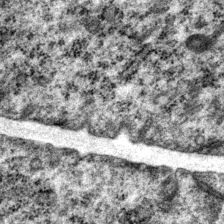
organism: P. pacificus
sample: Pharynx